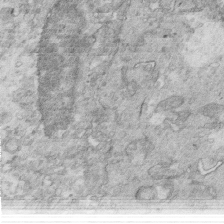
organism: Mouse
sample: Multiciliated cells